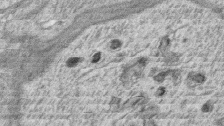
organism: Zebrafish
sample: synaptic ribbons in rod cells and cone cells